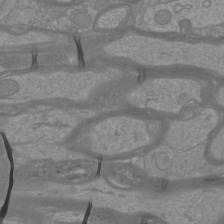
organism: Mouse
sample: Cortical neurons